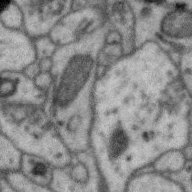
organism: Zebra finch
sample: Brain